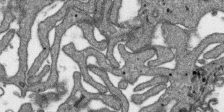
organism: Human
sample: Lung epithelial cells, uninfected (mock) control